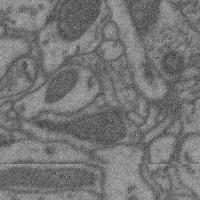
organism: Mouse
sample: Cerebral cortex